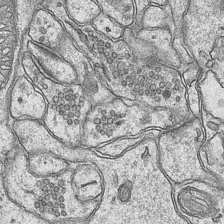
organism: Mouse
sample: CA1 Hippocampus